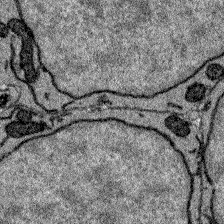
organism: Zebrafish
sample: Larval olfactory bulb